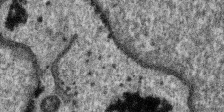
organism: Human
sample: Lung epithelial cells infected with SARS-CoV-2